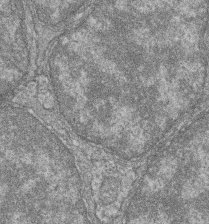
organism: Zebrafish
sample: Cilia; retinal pigment epithelium